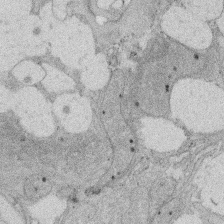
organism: Rat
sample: Salivary granule